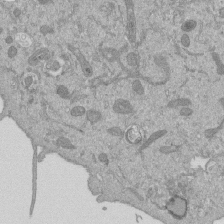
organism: Mouse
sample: ED-1 cell nuclei; centrioles